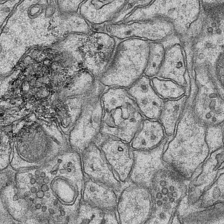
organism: Mouse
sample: CA1 Hippocampus